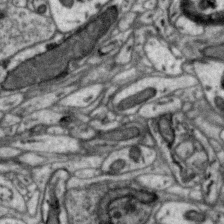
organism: Zebra finch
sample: Brain